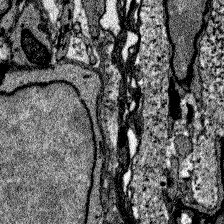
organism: Zebrafish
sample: Larval olfactory bulb